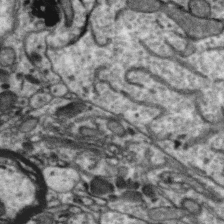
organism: Zebra finch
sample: Brain